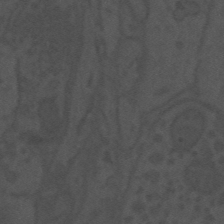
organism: Mouse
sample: Suprachiasmatic nucleus